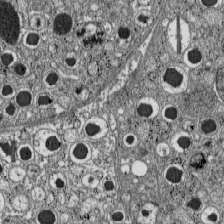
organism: C57BL Mouse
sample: Pancreatic islet